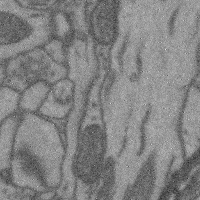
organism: Mouse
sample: Cerebral cortex